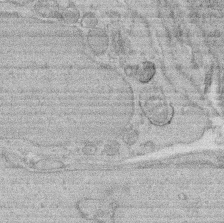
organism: Rat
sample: Salivary granule